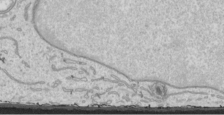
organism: Human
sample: Mitochondria in HCT116 cells